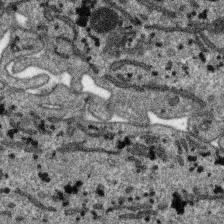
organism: Human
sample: Lung epithelial cells infected with SARS-CoV-2